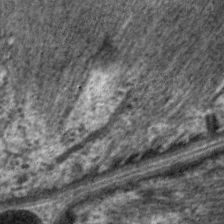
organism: C. elegans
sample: Pharynx